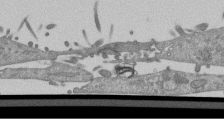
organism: Mouse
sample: ED-1 cell nuclei; centrioles